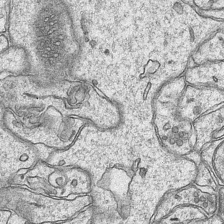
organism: Mouse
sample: CA1 Hippocampus